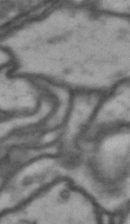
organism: Drosophila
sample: Brain